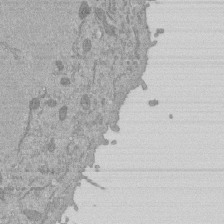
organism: Mouse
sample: ED-1 cell nuclei; centrioles